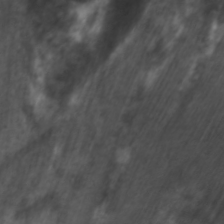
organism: C. elegans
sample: Pharynx